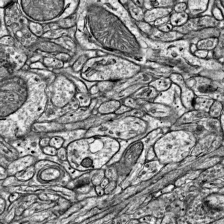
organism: Mouse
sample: Visual Cortex